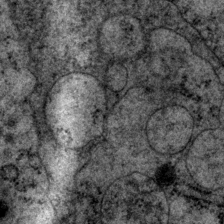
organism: P. pacificus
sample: Pharynx